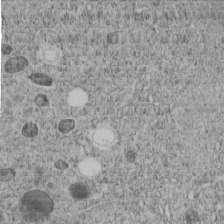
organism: C. elegans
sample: C. elegans embryo early stage